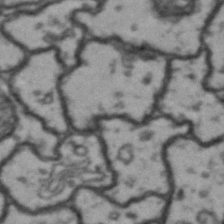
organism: Drosophila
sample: Brain